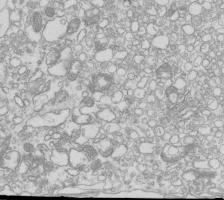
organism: Mouse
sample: Macrophages